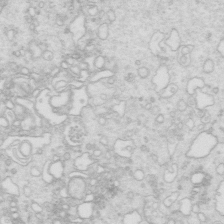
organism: Mouse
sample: Multiciliated cells